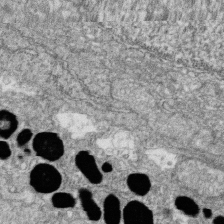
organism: Zebrafish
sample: Cilia; retinal pigment epithelium